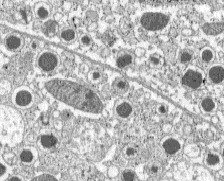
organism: C57BL Mouse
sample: Pancreatic islet